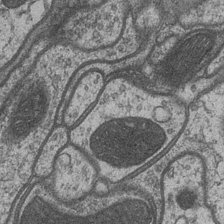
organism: Drosophila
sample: Optic medulla